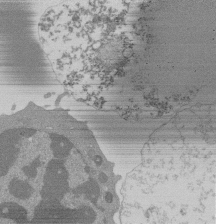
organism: Mouse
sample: Activated Pmel transgenic CD8+ T Cells